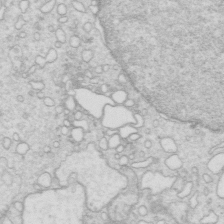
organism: Mouse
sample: Multiciliated cells